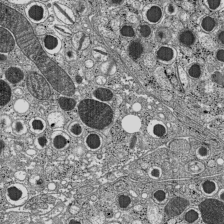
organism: C57BL Mouse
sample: Pancreatic islet